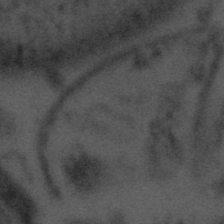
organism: Tuwongella immobilis